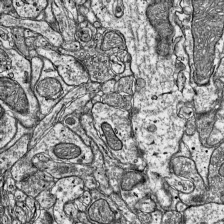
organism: Mouse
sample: Visual Cortex